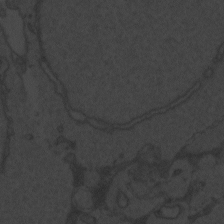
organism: Zebrafish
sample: Macrophage infected with Toxoplasma gondii